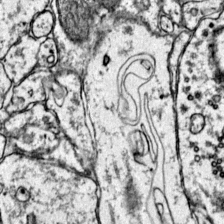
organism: Mouse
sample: Primary visual cortex